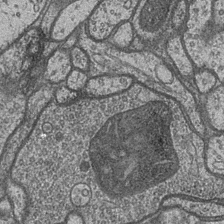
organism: Drosophila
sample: Optic medulla